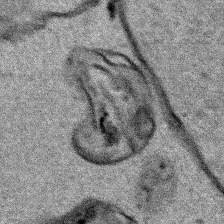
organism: Human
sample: Mitochondria in HCT116 cells